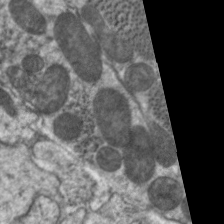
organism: C. elegans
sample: Pharynx